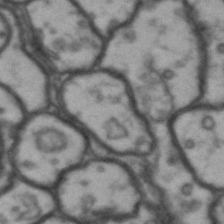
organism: Drosophila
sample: Brain